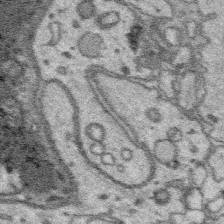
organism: Platynereis dumerilii